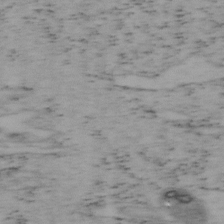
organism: Mouse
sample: OT-I killer T cells with ID8 ovarian cancer cells